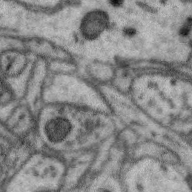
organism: Zebra finch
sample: Brain